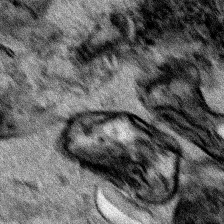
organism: Human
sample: Mitochondria in HCT116 cells